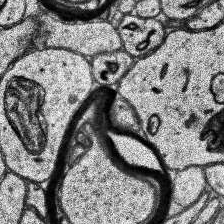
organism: Human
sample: Temporal Lobe